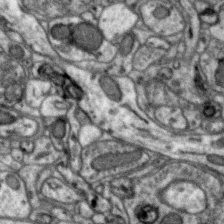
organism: Zebra finch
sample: Brain